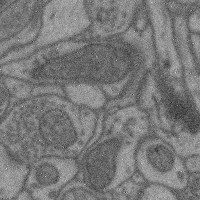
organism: Mouse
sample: Cerebral cortex